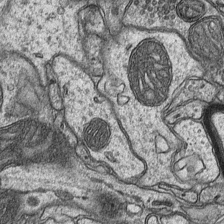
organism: Mouse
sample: CA1 Hippocampus